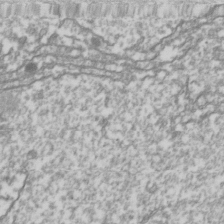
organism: Drosophila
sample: Cell division; meiosis; drosophila spermatocytes